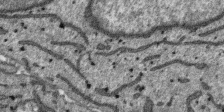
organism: Human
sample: Lung epithelial cells, uninfected (mock) control